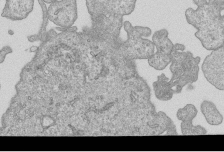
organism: Human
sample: MDA-MB-231 cells